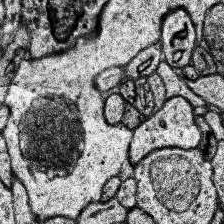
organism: Human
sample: Temporal Lobe